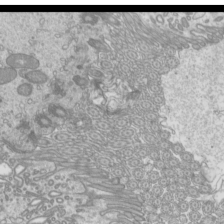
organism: Mouse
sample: Cilia; mouse epididymis